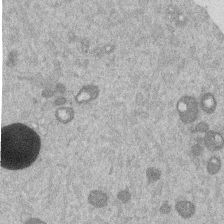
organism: Mouse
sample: Dividing mouse embryo 1 cell stage